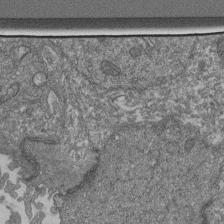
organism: Human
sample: Retinal organoid Rod and Cone cells